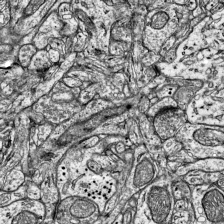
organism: Mouse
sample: Visual Cortex